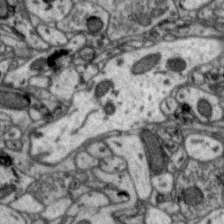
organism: Zebra finch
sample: Brain